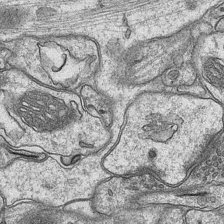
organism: Mouse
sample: CA1 Hippocampus